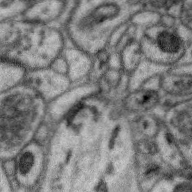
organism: Zebra finch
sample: Brain